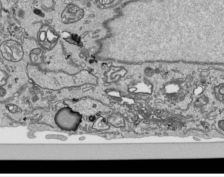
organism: Human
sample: Mitochondria in HCT116 cells